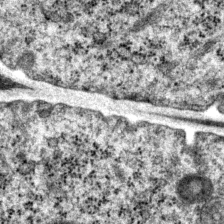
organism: P. pacificus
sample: Pharynx